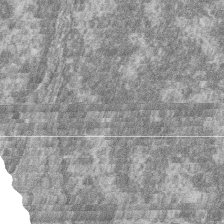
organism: Zebrafish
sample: Cilia; retinal pigment epithelium